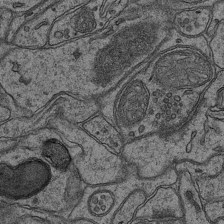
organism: Mouse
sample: CA1 Hippocampus